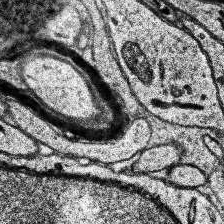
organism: Human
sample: Temporal Lobe